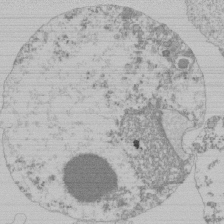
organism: Mouse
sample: Activated Pmel transgenic CD8+ T Cells